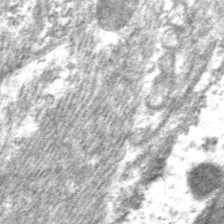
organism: C. elegans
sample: Pharynx